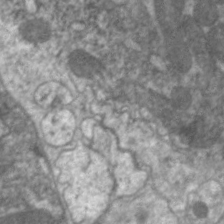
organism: C. elegans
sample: Pharynx